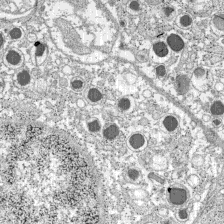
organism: C57BL Mouse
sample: Pancreatic islet